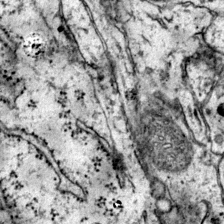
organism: Mouse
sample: Primary visual cortex